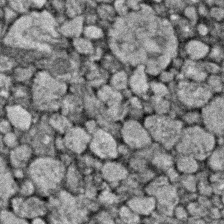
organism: Zebrafish